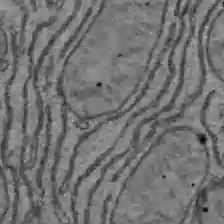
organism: C57BL Mouse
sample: Liver